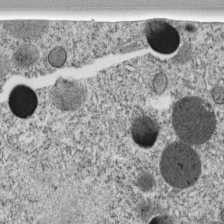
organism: C. elegans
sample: C. elegans embryo early stage